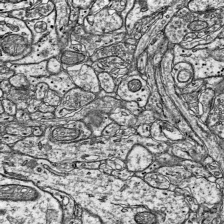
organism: Mouse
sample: Visual Cortex